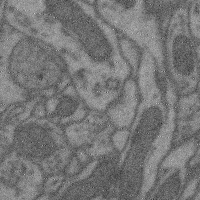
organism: Mouse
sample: Cerebral cortex